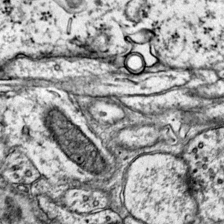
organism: Mouse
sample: Primary visual cortex